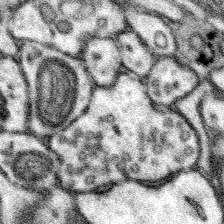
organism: Mouse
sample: Somatosensory cortex neuropil